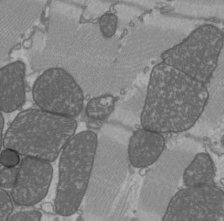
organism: C57BL Mouse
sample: Heart